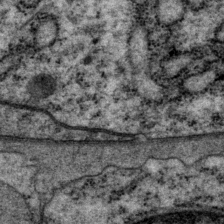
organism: P. pacificus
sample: Pharynx